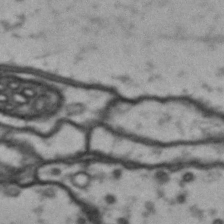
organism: Drosophila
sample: Brain